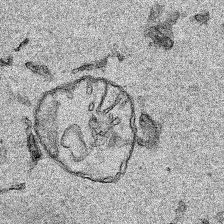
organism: Human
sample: Mitochondria in HCT116 cells